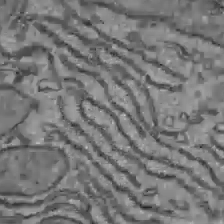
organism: C57BL Mouse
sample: Liver